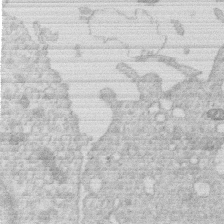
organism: Human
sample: Macrophage cells